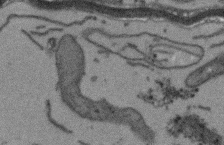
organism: Arabidopsis thaliana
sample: Root tip